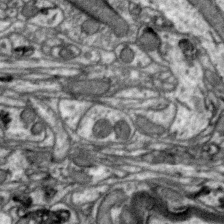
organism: Zebra finch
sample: Brain